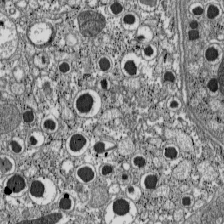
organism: C57BL Mouse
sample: Pancreatic islet